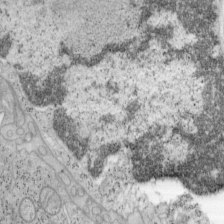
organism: Mouse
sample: OT-I killer T cells with ID8 ovarian cancer cells